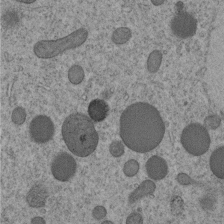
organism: C. elegans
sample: C. elegans embryo early stage